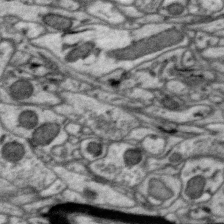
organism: Zebra finch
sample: Brain